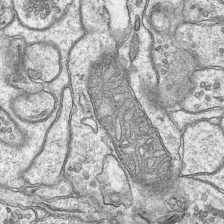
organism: Mouse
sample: CA1 Hippocampus